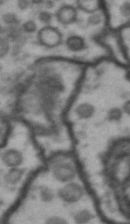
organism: Drosophila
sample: Brain